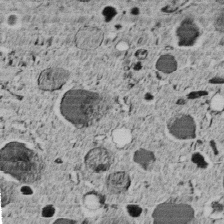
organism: C. elegans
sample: C. elegans embryo early stage